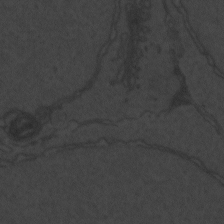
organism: Zebrafish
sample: Macrophage infected with Toxoplasma gondii